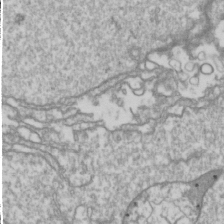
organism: Drosophila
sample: Cell division; meiosis; drosophila spermatocytes